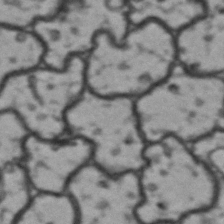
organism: Drosophila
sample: Brain